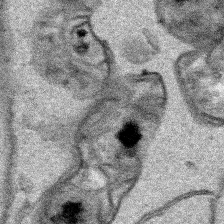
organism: Human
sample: Mitochondria in HCT116 cells